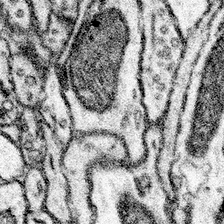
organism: Mouse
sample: Somatosensory cortex neuropil